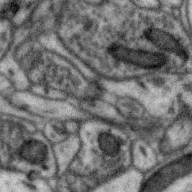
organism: Zebra finch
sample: Brain